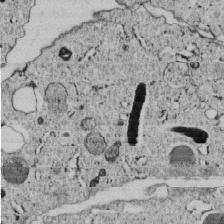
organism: C. elegans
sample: C. elegans embryo early stage